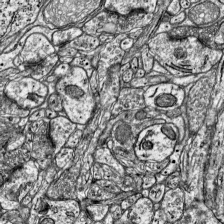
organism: Mouse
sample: Visual Cortex